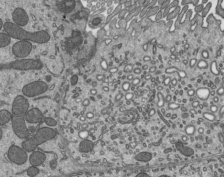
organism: Mouse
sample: Mouse epididymis efferent ductule cilia